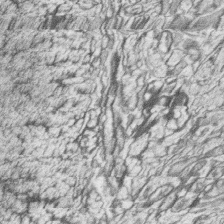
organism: Zebrafish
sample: synaptic ribbons in rod cells and cone cells